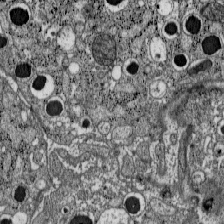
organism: C57BL Mouse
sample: Pancreatic islet